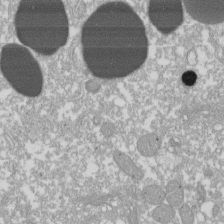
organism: Xenopus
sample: Cilia; centrioles in frog embryo cells